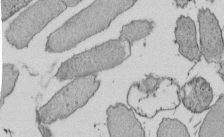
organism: E. coli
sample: Bacterial nucleoid